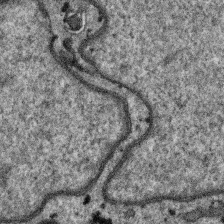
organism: Human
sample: Lung epithelial cells infected with SARS-CoV-2